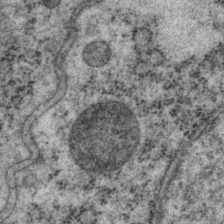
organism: P. pacificus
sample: Pharynx